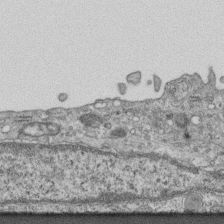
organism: Mouse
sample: Centriole in ependymal cells